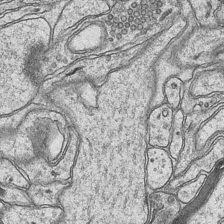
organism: Mouse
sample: CA1 Hippocampus